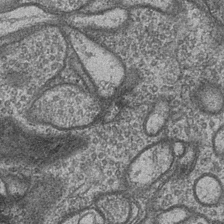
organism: Drosophila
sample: Optic medulla